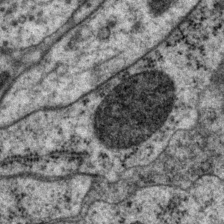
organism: P. pacificus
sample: Pharynx